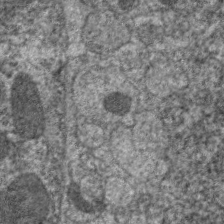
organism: C. elegans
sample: Pharynx